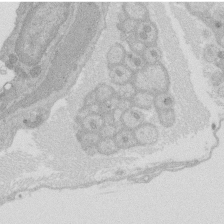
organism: Rat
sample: Salivary granule